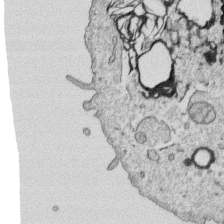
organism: Human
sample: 1205lu cells